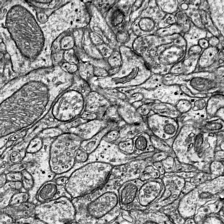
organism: Mouse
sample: Visual Cortex